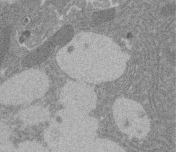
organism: Rat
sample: Salivary granule